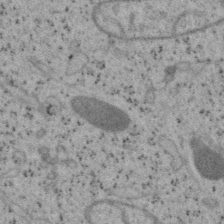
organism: Human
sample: HeLa cells